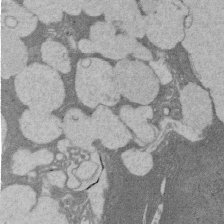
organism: Rat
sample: Salivary granule